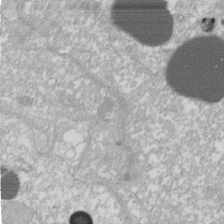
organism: Xenopus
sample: Cilia; centrioles in frog embryo cells